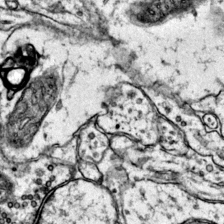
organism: Mouse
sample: Primary visual cortex